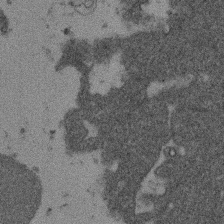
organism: Mouse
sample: Dividing mouse embryo 1 cell stage